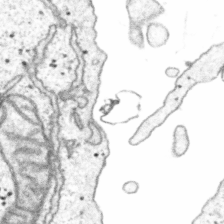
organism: Human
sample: HeLa cells